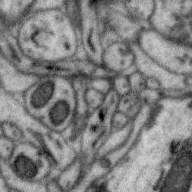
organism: Zebra finch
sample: Brain